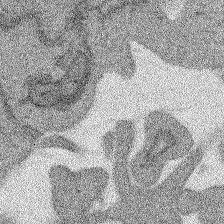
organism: Human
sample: HeLa cells